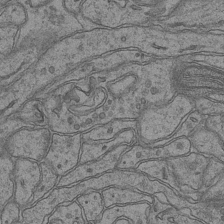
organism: Mouse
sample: CA1 Hippocampus